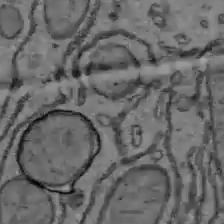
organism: C57BL Mouse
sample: Liver